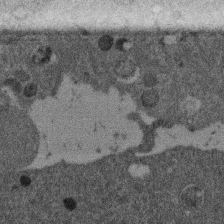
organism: Mouse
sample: Dividing mouse embryo 1 cell stage